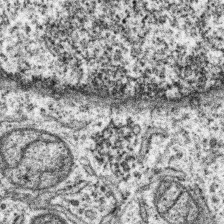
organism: Human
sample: HeLa cells